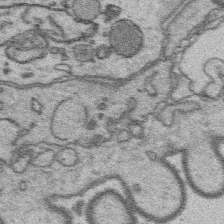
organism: Platynereis dumerilii